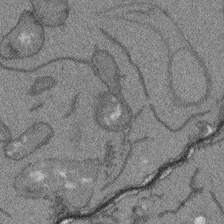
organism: Arabidopsis thaliana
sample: Root tip